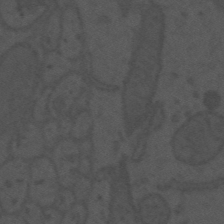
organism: Mouse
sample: Suprachiasmatic nucleus